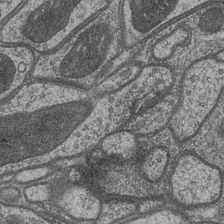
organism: Drosophila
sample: Optic medulla